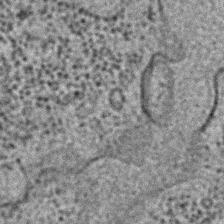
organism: C. elegans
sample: C. elegans embryo